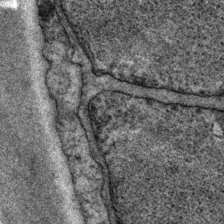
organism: P. pacificus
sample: Pharynx